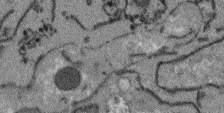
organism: Arabidopsis thaliana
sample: Root tip